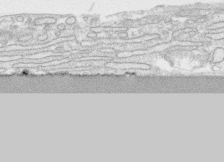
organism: Human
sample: CRL-1474